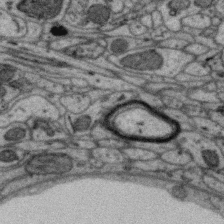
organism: Zebra finch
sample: Brain